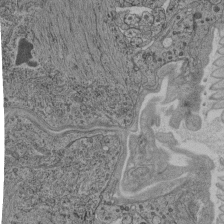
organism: C. elegans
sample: C. elegans pharynx